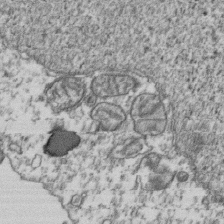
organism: Human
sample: Activated Jurkat CD4+ T cells